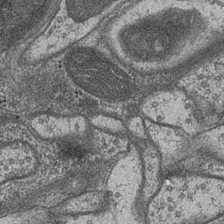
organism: Drosophila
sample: Optic medulla